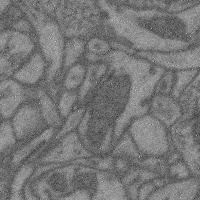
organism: Mouse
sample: Cerebral cortex